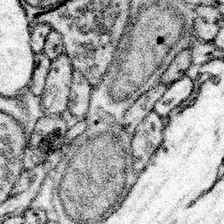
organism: Mouse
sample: Somatosensory cortex neuropil